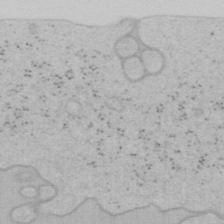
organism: Human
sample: HeLa cells